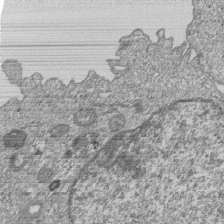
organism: Human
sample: MDA-MB-231 cells